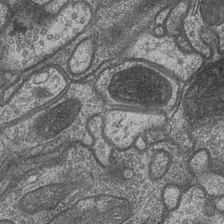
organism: Drosophila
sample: Optic medulla